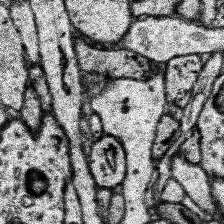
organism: Human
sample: Temporal Lobe